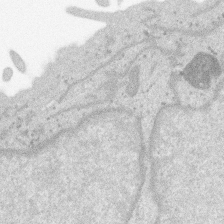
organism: Human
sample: Lung epithelial cells infected with SARS-CoV-2